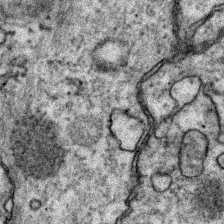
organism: Zebrafish